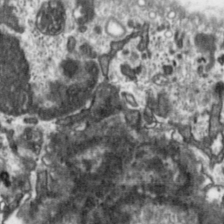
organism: Toxoplasma gondii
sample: Parasites in a vacuole inside a host cell